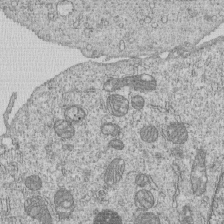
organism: Human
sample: MDA-MB-231 cells